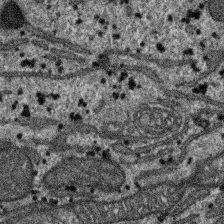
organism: Human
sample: Lung epithelial cells infected with SARS-CoV-2